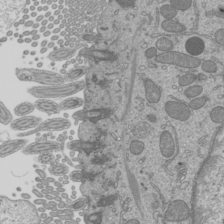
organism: Mouse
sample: Cilia; mouse epididymis